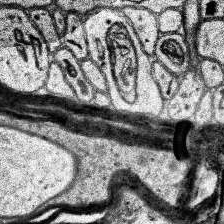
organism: Human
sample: Temporal Lobe